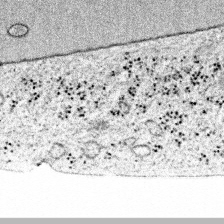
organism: Human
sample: HeLa cells